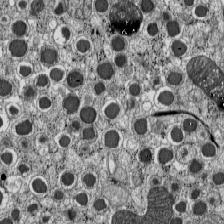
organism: C57BL Mouse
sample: Pancreatic islet